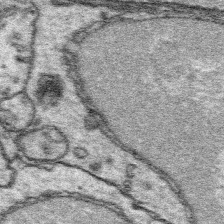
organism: Platynereis dumerilii